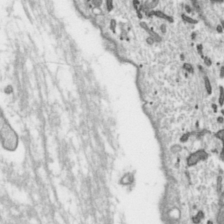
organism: Toxoplasma gondii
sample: Parasites in a vacuole inside a host cell